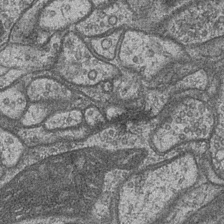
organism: Drosophila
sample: Optic medulla